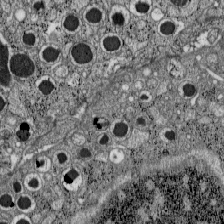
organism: C57BL Mouse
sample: Pancreatic islet